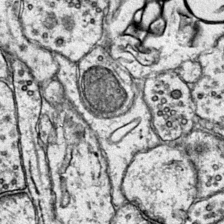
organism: Mouse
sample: Primary visual cortex